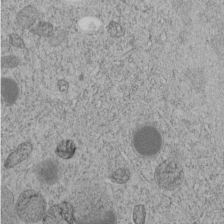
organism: C. elegans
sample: C. elegans embryo early stage